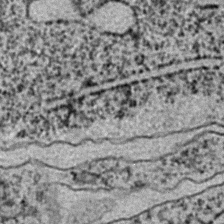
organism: C. elegans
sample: C. elegans embryo